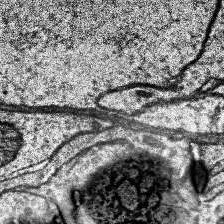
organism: Human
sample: Temporal Lobe